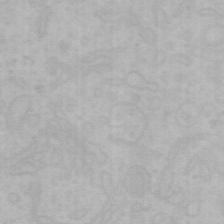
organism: Mouse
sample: Choroid plexus